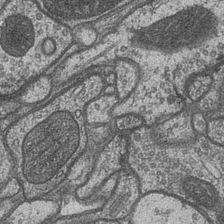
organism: Drosophila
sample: Optic medulla